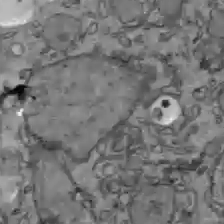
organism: C57BL Mouse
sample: Liver